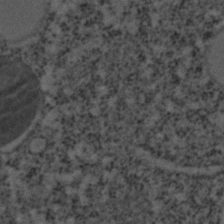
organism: C. elegans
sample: C. elegans embryo